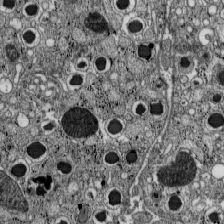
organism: C57BL Mouse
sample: Pancreatic islet